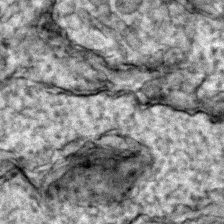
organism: Zebrafish